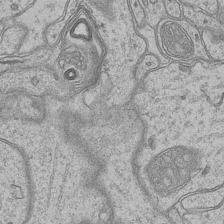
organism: Mouse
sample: CA1 Hippocampus